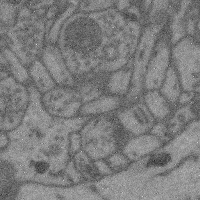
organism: Mouse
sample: Cerebral cortex